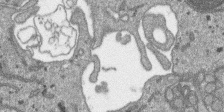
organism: Human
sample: Lung epithelial cells infected with SARS-CoV-2